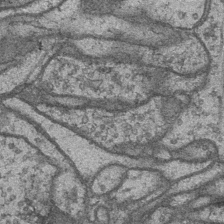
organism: Drosophila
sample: Optic medulla